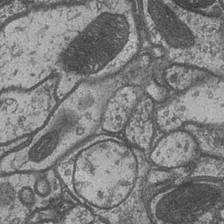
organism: Drosophila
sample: Optic medulla